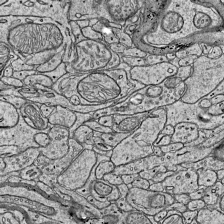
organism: Mouse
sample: Visual Cortex